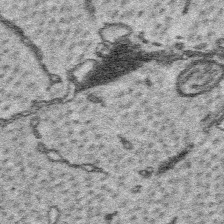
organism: Platynereis dumerilii